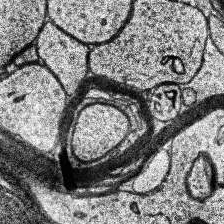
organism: Human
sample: Temporal Lobe